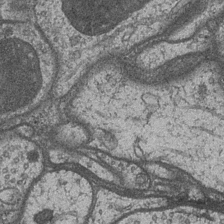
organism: Drosophila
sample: Optic medulla